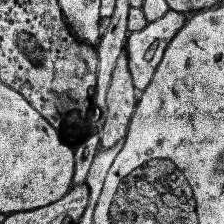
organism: Human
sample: Temporal Lobe